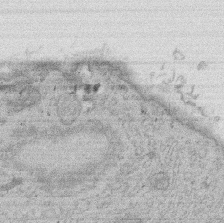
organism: Rat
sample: Salivary granule